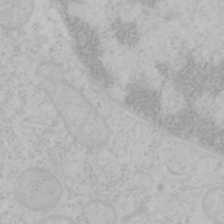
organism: Mouse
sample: OT-I killer T cells with ID8 ovarian cancer cells